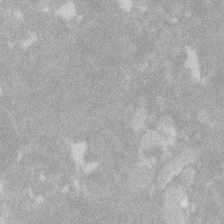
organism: Zebrafish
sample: Macrophage